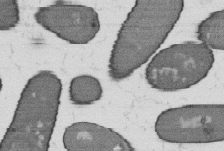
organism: B. subtilis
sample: Bacterial spore